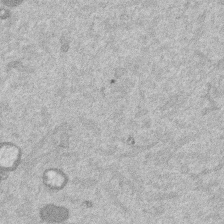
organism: Mouse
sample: Dividing mouse embryo 1 cell stage